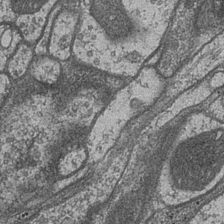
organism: Drosophila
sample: Optic medulla